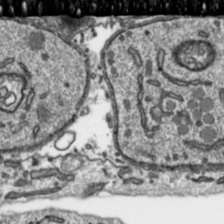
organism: Toxoplasma gondii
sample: Parasites in a vacuole inside a host cell